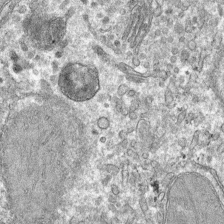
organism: Mouse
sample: Mouse hepatocytes